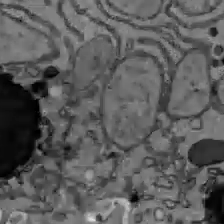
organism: C57BL Mouse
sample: Liver